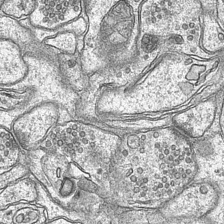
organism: Mouse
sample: CA1 Hippocampus